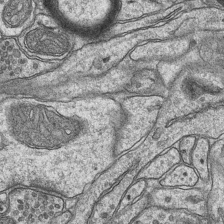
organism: Mouse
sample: CA1 Hippocampus